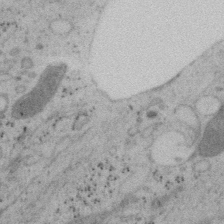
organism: Human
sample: HeLa cells